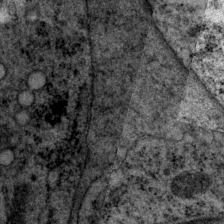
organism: P. pacificus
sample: Pharynx